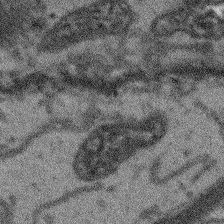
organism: Arabidopsis thaliana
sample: Root tip